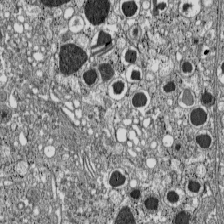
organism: C57BL Mouse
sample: Pancreatic islet